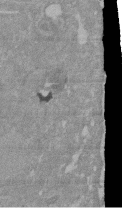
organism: Mouse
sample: ED-1 cell nuclei; centrioles